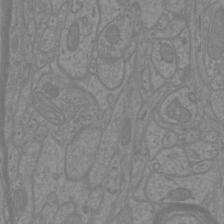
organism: Mouse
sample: Cortical neurons